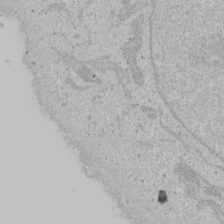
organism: Human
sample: Mitochondria in U2OS cells